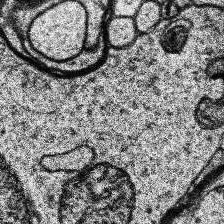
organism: Human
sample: Temporal Lobe